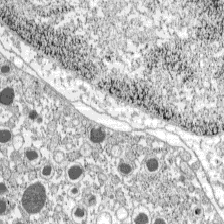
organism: C57BL Mouse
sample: Pancreatic islet